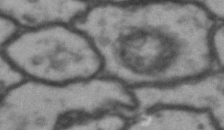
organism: Drosophila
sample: Brain